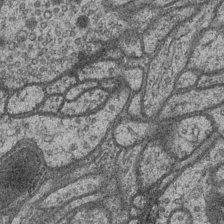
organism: Drosophila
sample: Optic medulla